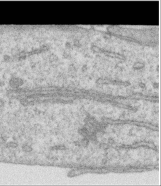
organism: Human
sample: Centriole in RPE cells